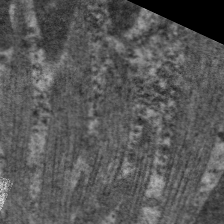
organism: C. elegans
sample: Pharynx